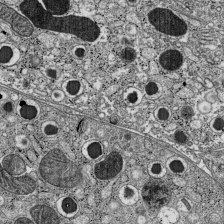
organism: C57BL Mouse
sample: Pancreatic islet